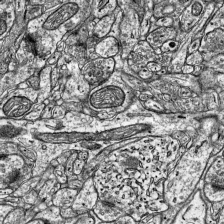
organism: Mouse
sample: Visual Cortex